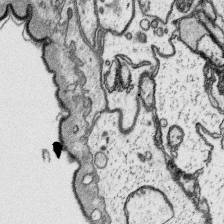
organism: Platynereis dumerilii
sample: Parapodia